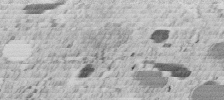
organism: C. elegans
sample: C. elegans embryo early stage